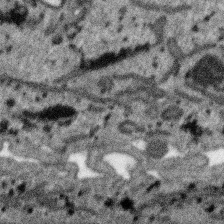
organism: Human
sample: Lung epithelial cells infected with SARS-CoV-2